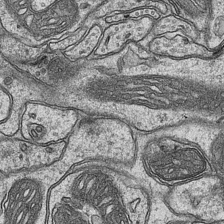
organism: Mouse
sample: CA1 Hippocampus